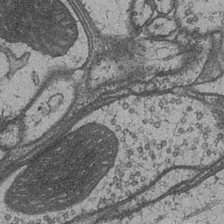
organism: Drosophila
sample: Optic medulla